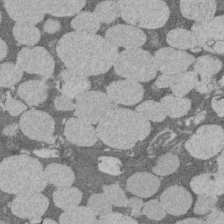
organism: Rat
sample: Salivary granule